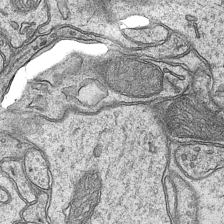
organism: Mouse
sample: CA1 Hippocampus